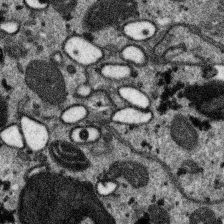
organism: Human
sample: Lung epithelial cells infected with SARS-CoV-2